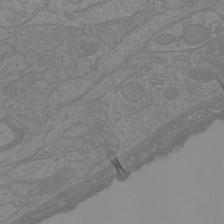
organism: Mouse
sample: Cortical neurons